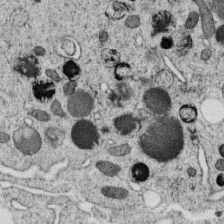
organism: C. elegans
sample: C. elegans oocyte; sperm cells